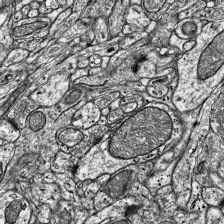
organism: Mouse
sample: Visual Cortex